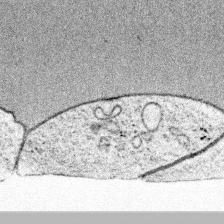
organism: Human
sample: HeLa cells